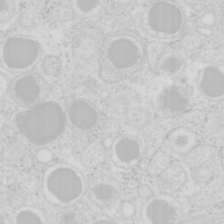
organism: Mouse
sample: Pancreas